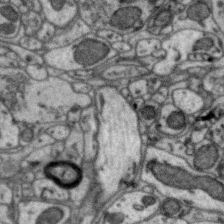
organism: Zebra finch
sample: Brain